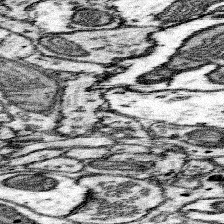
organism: Mouse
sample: Somatosensory cortex neuropil